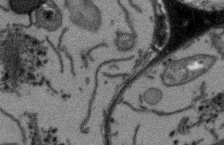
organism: Arabidopsis thaliana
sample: Root tip